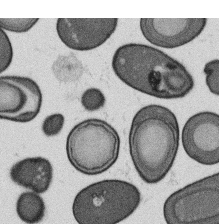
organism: B. subtilis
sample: Bacterial spore